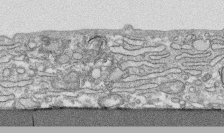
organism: Human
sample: CRL-1474